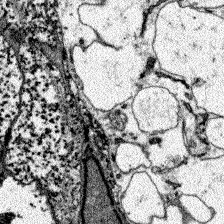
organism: Zebrafish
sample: Larval olfactory bulb